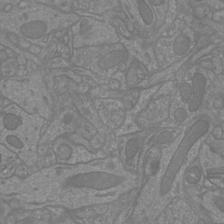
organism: Mouse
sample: Cortical neurons